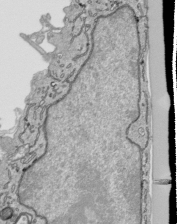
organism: Human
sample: Mitochondria in HCT116 cells